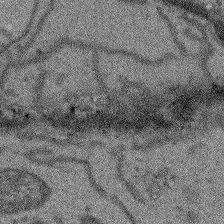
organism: Arabidopsis thaliana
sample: Root tip